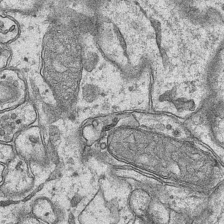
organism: Mouse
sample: CA1 Hippocampus